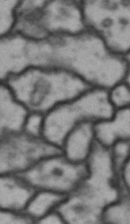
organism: Drosophila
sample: Brain